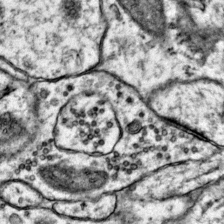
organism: Mouse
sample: Primary visual cortex